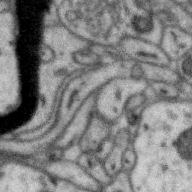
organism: Zebra finch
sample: Brain